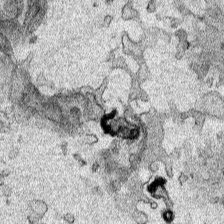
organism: Human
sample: Mitochondria in HCT116 cells